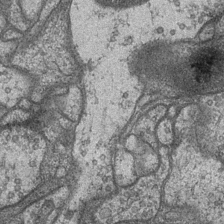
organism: Drosophila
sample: Optic medulla